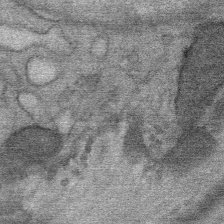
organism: Mouse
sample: Mouse Salivary gland